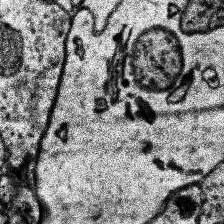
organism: Human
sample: Temporal Lobe